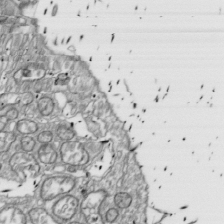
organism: Drosophila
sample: Cell division; meiosis; drosophila spermatocytes